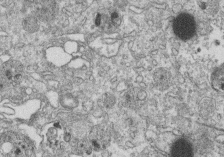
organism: Human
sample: HeLa cell HIV synapse